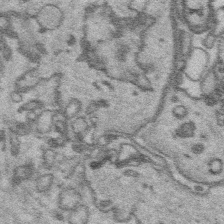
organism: Platynereis dumerilii